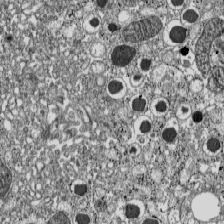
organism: C57BL Mouse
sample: Pancreatic islet